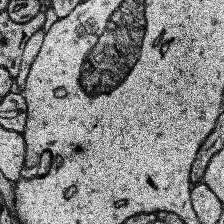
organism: Human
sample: Temporal Lobe